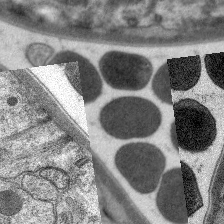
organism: C. elegans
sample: Pharynx